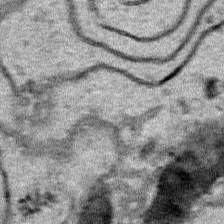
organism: Human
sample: Mitochondria in HCT116 cells